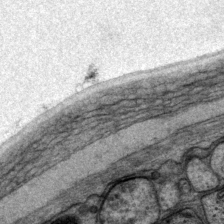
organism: P. pacificus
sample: Pharynx